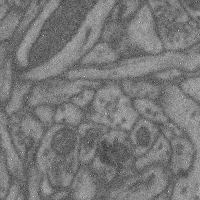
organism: Mouse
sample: Cerebral cortex